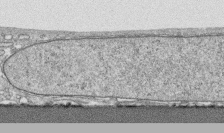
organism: Human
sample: CRL-1474